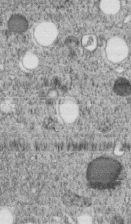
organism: C. elegans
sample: C. elegans embryo early stage